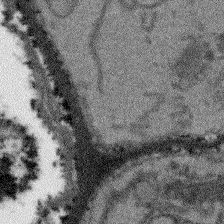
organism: Arabidopsis thaliana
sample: Root tip